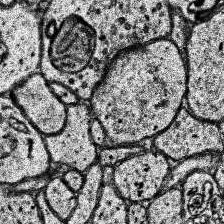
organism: Human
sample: Temporal Lobe